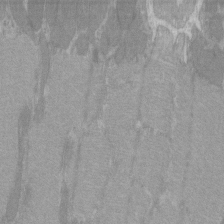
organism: C57BL Mouse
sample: Tibialis anterior muscle cell